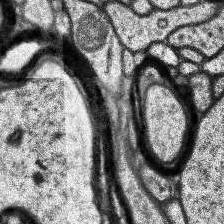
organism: Human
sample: Temporal Lobe